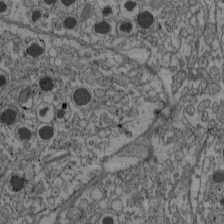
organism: C57BL Mouse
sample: Pancreatic islet